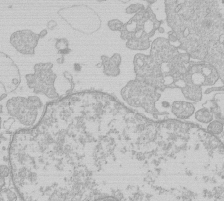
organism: Human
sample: Macrophage cells